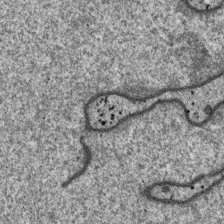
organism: Human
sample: Lung epithelial cells, uninfected (mock) control